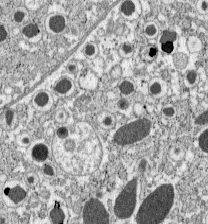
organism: C57BL Mouse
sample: Pancreatic islet